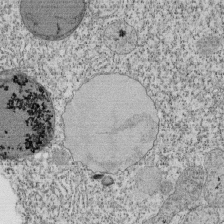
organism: Tetrahymena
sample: Cilia in tetrahymena